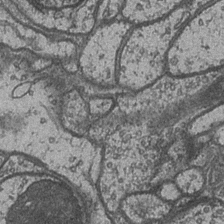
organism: Drosophila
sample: Optic medulla